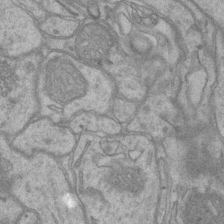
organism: Mouse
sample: CA1 Hippocampus